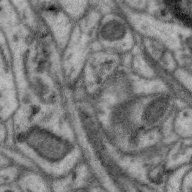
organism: Zebra finch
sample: Brain